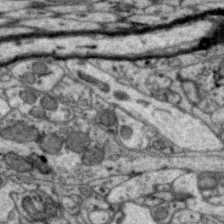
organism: Zebra finch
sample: Brain